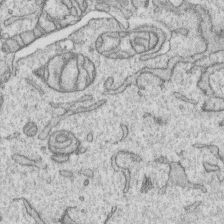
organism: Human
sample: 1205lu cells